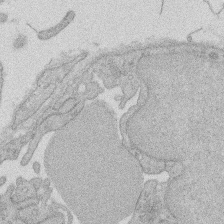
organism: Rat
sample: Salivary granule